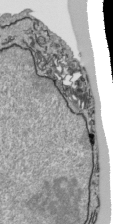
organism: Human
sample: Mitochondria in HCT116 cells